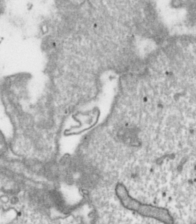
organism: Toxoplasma gondii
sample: Parasites in a vacuole inside a host cell